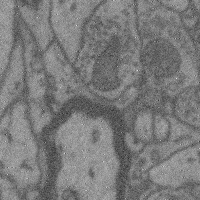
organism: Mouse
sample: Cerebral cortex